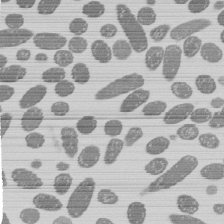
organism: E. coli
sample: Bacterial nucleoid